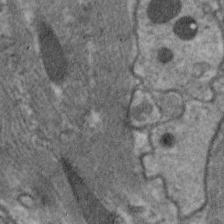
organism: C. elegans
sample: Pharynx